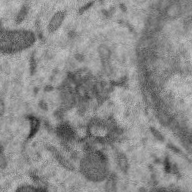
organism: Zebra finch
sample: Brain